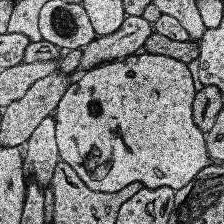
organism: Human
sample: Temporal Lobe